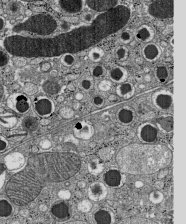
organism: C57BL Mouse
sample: Pancreatic islet